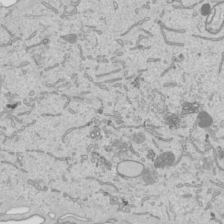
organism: Human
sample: Mitochondria in HCT116 cells